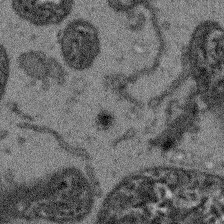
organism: Arabidopsis thaliana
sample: Root tip